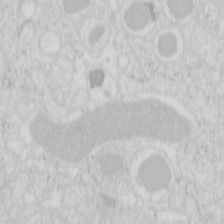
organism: Mouse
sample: Pancreas